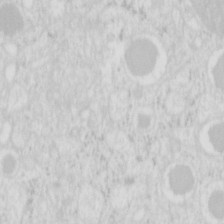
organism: Mouse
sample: Pancreas